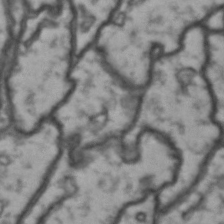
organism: Drosophila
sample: Brain